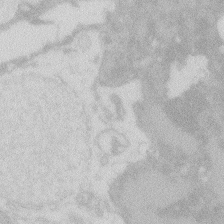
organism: Zebrafish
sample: Macrophage